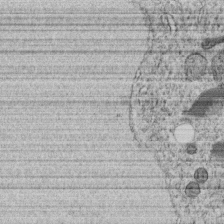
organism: C. elegans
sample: C. elegans embryo early stage